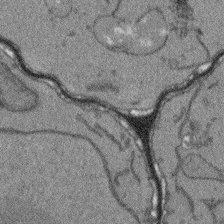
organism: Arabidopsis thaliana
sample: Root tip